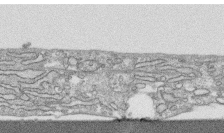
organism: Human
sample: CRL-1474